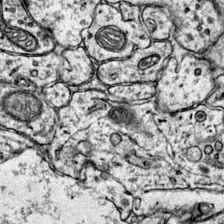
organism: Mouse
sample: Primary visual cortex